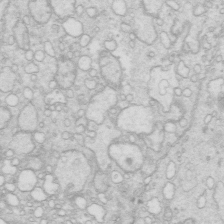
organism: Mouse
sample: Multiciliated cells